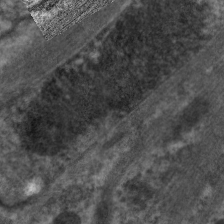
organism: C. elegans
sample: Pharynx